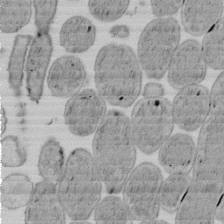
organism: E. coli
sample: Bacterial nucleoid